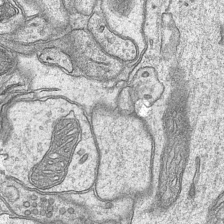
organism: Mouse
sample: CA1 Hippocampus